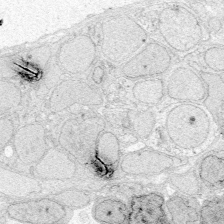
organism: Zebrafish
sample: Whole-Brain